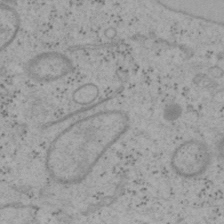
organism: Human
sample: HeLa cells